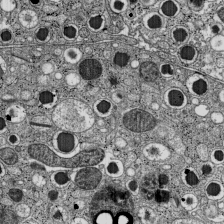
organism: C57BL Mouse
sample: Pancreatic islet